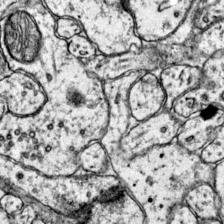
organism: Mouse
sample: Primary visual cortex